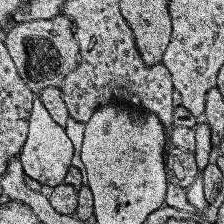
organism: Human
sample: Temporal Lobe